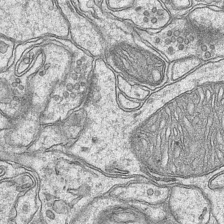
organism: Mouse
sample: CA1 Hippocampus